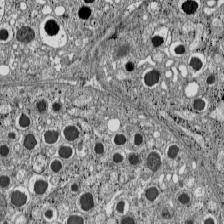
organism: C57BL Mouse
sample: Pancreatic islet